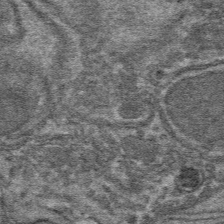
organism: Mouse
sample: Mouse hepatocytes